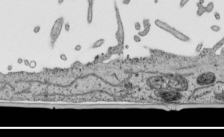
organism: Human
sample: Mitochondria in HCT116 cells